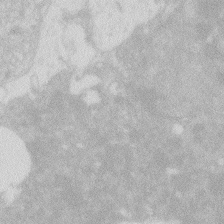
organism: Zebrafish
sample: Macrophage